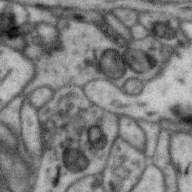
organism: Zebra finch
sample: Brain